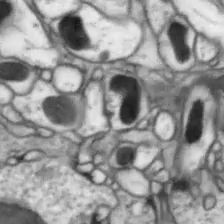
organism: Drosophila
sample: Optic lobe